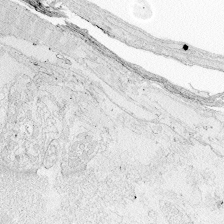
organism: Zebrafish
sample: Whole-Brain